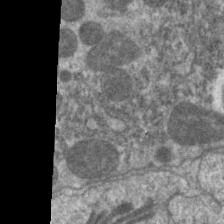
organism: C. elegans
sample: Pharynx